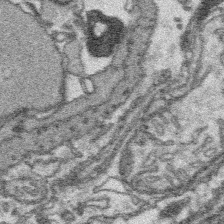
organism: Platynereis dumerilii